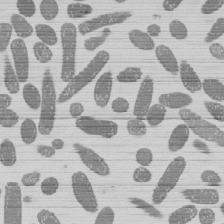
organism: E. coli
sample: Bacterial nucleoid